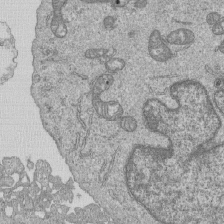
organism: Human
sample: MDA-MB-231 cells